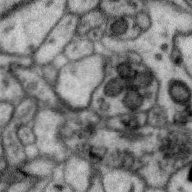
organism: Zebra finch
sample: Brain